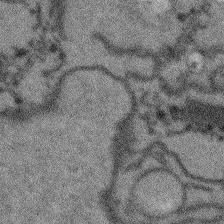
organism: Arabidopsis thaliana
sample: Root tip